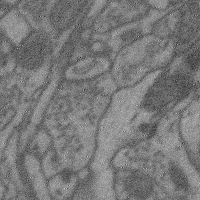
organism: Mouse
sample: Cerebral cortex